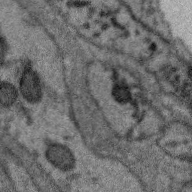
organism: Zebra finch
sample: Brain